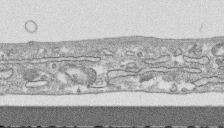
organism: Human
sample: CRL-1474